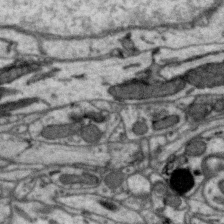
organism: Zebra finch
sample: Brain